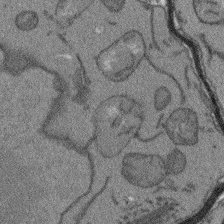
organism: Arabidopsis thaliana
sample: Root tip